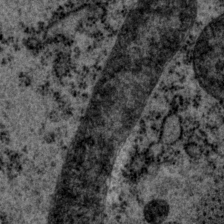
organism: P. pacificus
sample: Pharynx